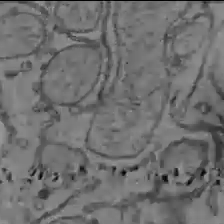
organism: C57BL Mouse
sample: Liver